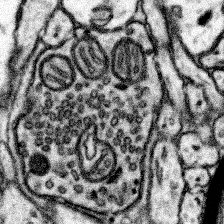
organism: Mouse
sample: Somatosensory cortex neuropil